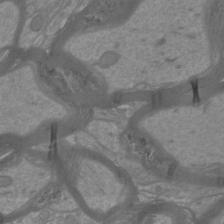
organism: Mouse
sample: Cortical neurons